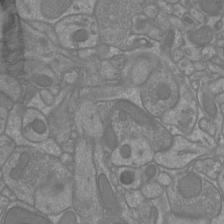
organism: Mouse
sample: Cortical neurons